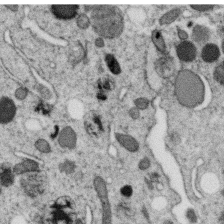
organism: C. elegans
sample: C. elegans oocyte; sperm cells